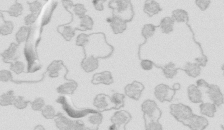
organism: Mouse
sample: Multiciliated cells